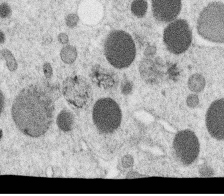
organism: C. elegans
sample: C. elegans oocyte; sperm cells